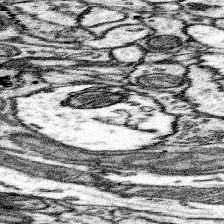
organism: Mouse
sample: Somatosensory cortex neuropil